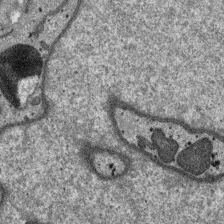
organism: Human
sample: Lung epithelial cells, uninfected (mock) control